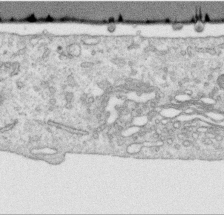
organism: Human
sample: Centriole in RPE cells